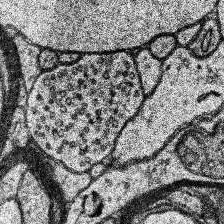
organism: Human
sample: Temporal Lobe